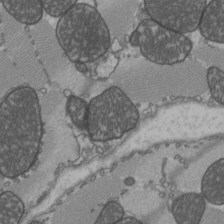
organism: C57BL Mouse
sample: Heart